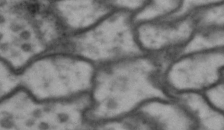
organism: Drosophila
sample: Brain